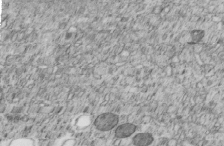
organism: C. elegans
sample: C. elegans embryo early stage